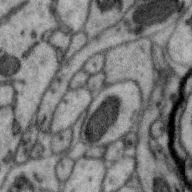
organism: Zebra finch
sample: Brain